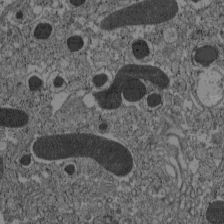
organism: C57BL Mouse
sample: Pancreatic islet